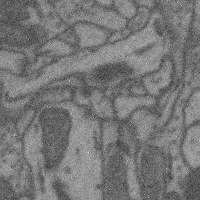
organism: Mouse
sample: Cerebral cortex